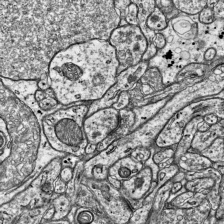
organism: Mouse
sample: Visual Cortex